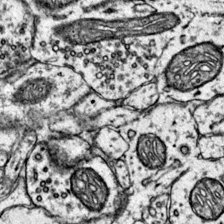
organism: Mouse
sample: Primary visual cortex